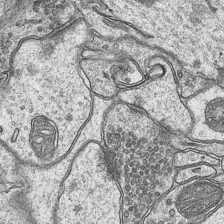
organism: Mouse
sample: CA1 Hippocampus